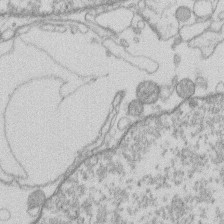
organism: Human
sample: Macrophage cells